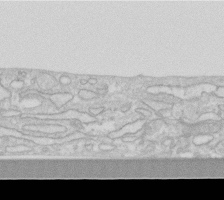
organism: Human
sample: Fibroblast cells